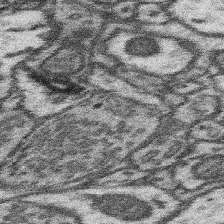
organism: Mouse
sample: Somatosensory cortex neuropil